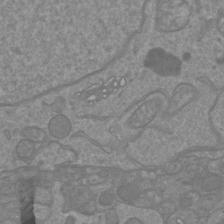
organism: Mouse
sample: Cortical neurons